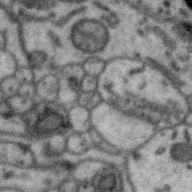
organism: Zebra finch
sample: Brain